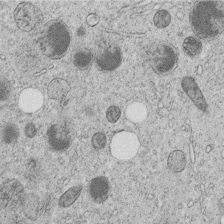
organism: C. elegans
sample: C. elegans embryo early stage